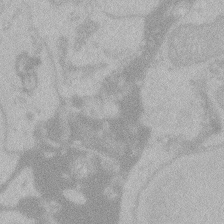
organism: Zebrafish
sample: Macrophage infected with Toxoplasma gondii